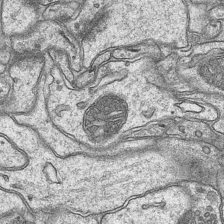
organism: Mouse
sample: CA1 Hippocampus